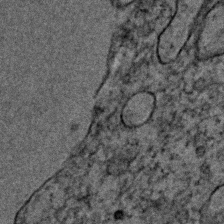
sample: Trachea